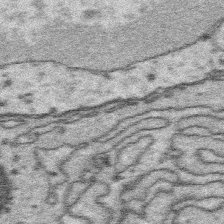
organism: Platynereis dumerilii